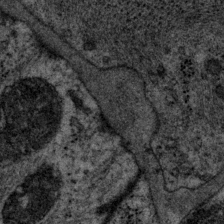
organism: P. pacificus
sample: Pharynx